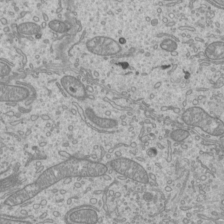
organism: Mouse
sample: Cilia; mouse epididymis